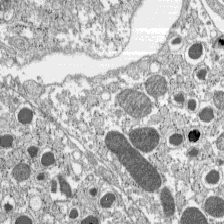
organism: C57BL Mouse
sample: Pancreatic islet